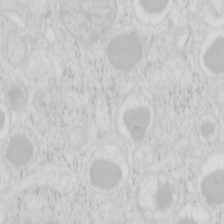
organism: Mouse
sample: Pancreas